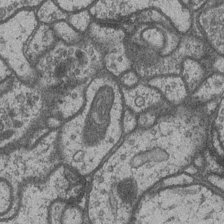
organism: Drosophila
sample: Optic medulla